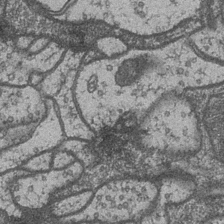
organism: Drosophila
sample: Optic medulla